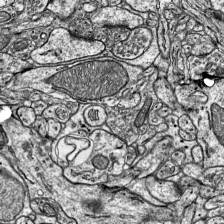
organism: Mouse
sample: Visual Cortex